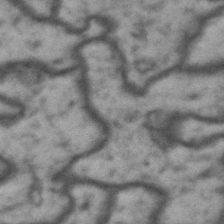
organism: Drosophila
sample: Brain